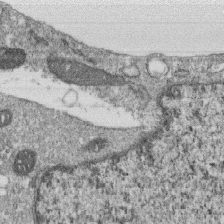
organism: African green monkey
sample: Vero E6 cells infected with SARS-CoV-2